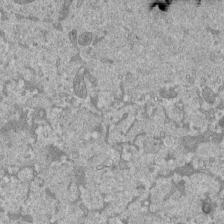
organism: Mouse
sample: ED-1 cell nuclei; centrioles